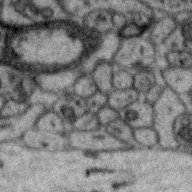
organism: Zebra finch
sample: Brain